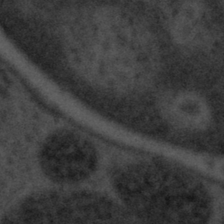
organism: Tuwongella immobilis